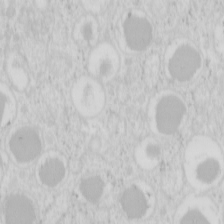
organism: Mouse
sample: Pancreas